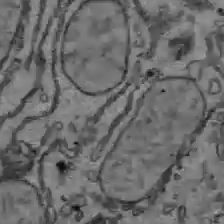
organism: C57BL Mouse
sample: Liver